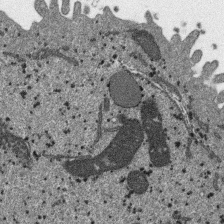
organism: Human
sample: Lung epithelial cells infected with SARS-CoV-2